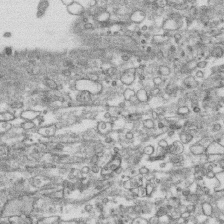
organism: Human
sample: CRL-1474